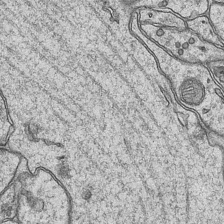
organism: Mouse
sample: CA1 Hippocampus